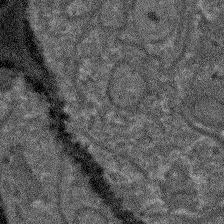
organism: Arabidopsis thaliana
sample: Root tip